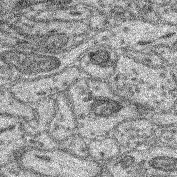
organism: Mouse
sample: Retina